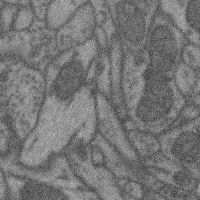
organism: Mouse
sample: Cerebral cortex